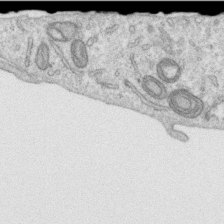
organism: Human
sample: Centriole in RPE cells